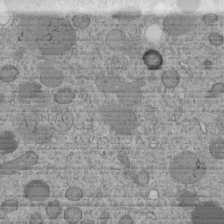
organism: C. elegans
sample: C. elegans embryo early stage